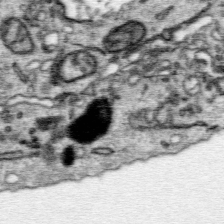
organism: Human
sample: HeLa cells